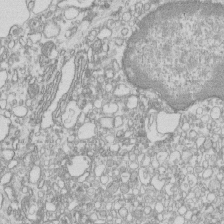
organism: Mouse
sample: Macrophages